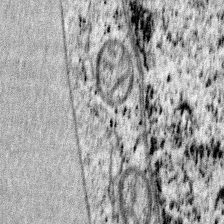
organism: Human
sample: HeLa cells